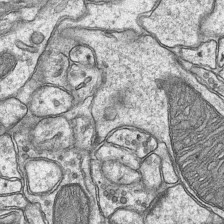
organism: Mouse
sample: CA1 Hippocampus